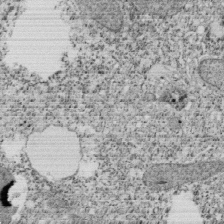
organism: Tetrahymena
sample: Cilia in tetrahymena